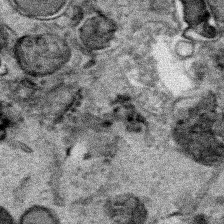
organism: Human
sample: Mitochondria in HCT116 cells